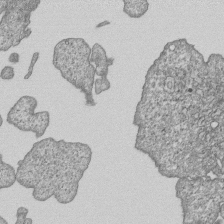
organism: Human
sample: MDA-MB-231 cells